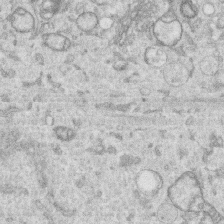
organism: Human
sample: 1205lu cells